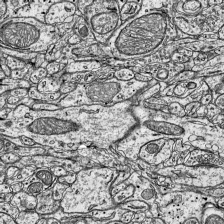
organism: Mouse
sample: Visual Cortex